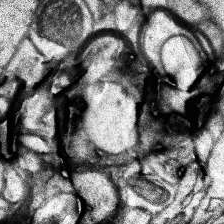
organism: Human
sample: Temporal Lobe